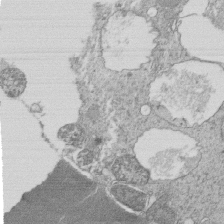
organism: Tetrahymena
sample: Cilia in tetrahymena